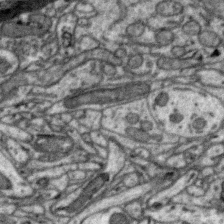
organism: Zebra finch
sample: Brain